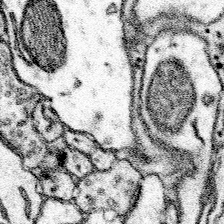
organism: Mouse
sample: Somatosensory cortex neuropil